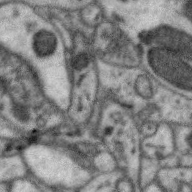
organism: Zebra finch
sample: Brain